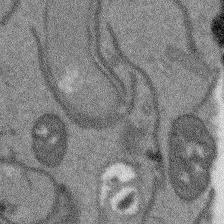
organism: Arabidopsis thaliana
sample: Root tip